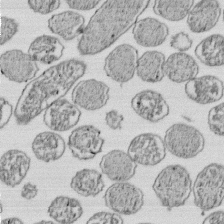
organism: E. coli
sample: Bacterial nucleoid